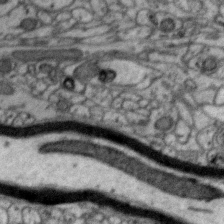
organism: Zebra finch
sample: Brain